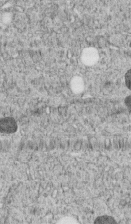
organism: C. elegans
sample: C. elegans embryo early stage